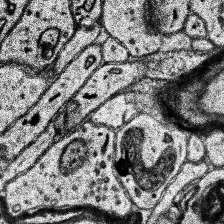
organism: Human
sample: Temporal Lobe